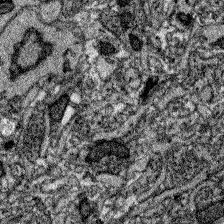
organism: Zebrafish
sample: Larval olfactory bulb